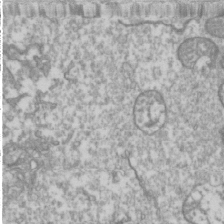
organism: Drosophila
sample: Cell division; meiosis; drosophila spermatocytes